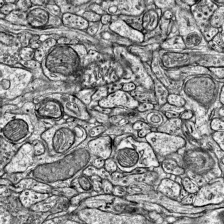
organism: Mouse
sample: Visual Cortex